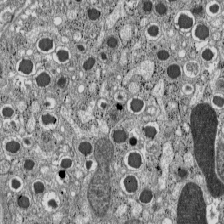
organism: C57BL Mouse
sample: Pancreatic islet